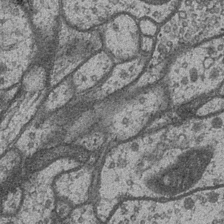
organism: Drosophila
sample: Optic medulla